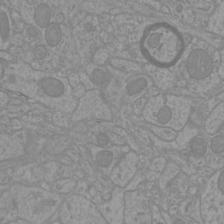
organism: Mouse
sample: Cortical neurons